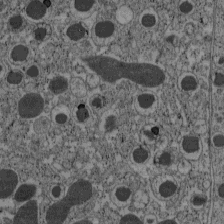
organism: C57BL Mouse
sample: Pancreatic islet